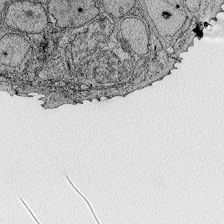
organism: Zebrafish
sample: Whole-Brain